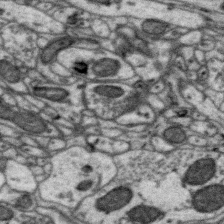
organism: Zebra finch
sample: Brain